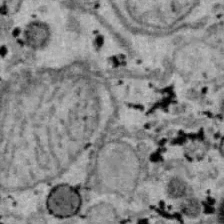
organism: Mouse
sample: Liver from an obese (ob/ob) mouse